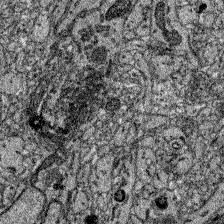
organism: Zebrafish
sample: Larval olfactory bulb